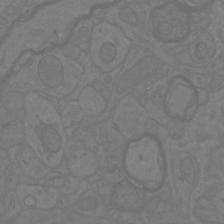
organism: Mouse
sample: Cortical neurons